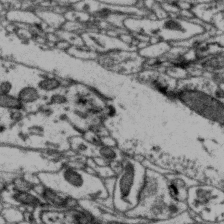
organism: Zebra finch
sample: Brain